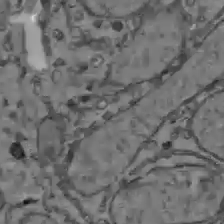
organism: C57BL Mouse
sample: Liver